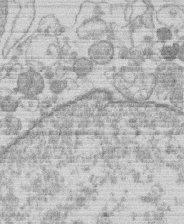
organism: Human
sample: Macrophage cells